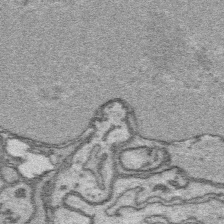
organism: Platynereis dumerilii